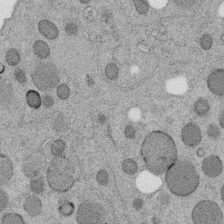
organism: C. elegans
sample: C. elegans embryo early stage